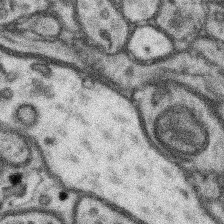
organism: Mouse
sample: Somatosensory cortex neuropil